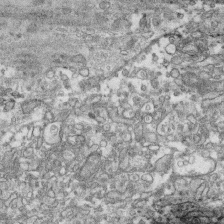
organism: Human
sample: CRL-1474